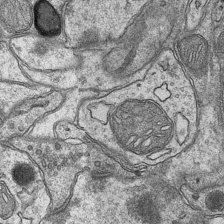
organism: Mouse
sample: CA1 Hippocampus